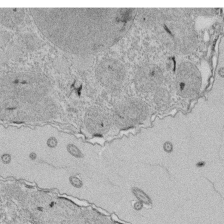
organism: Tetrahymena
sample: Cilia in tetrahymena